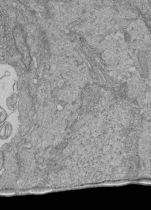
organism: Human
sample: Retinal organoid Rod and Cone cells